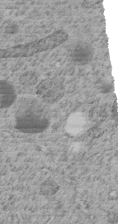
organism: C. elegans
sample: C. elegans embryo early stage